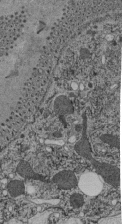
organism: C. elegans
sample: C. elegans pharynx